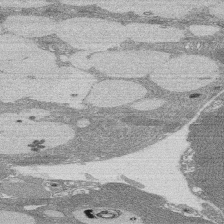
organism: Rat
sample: Salivary granule